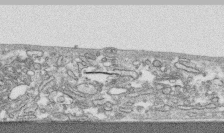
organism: Human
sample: CRL-1474